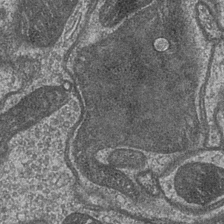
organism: Drosophila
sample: Optic medulla